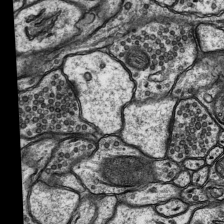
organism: Rat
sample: Hippocampus